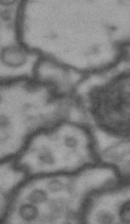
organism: Drosophila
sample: Brain